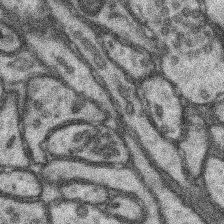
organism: Mouse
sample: Somatosensory cortex neuropil